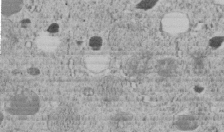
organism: C. elegans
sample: C. elegans embryo early stage